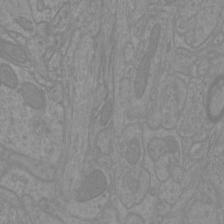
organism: Mouse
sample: Cortical neurons